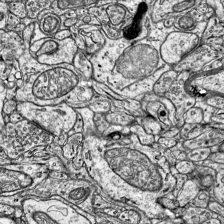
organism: Mouse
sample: Visual Cortex